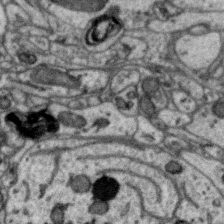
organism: Zebra finch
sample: Brain